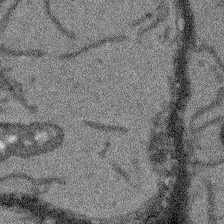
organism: Arabidopsis thaliana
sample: Root tip